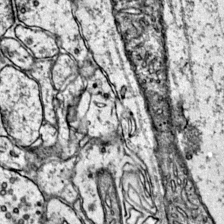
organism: Mouse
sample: Primary visual cortex